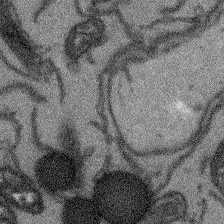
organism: Arabidopsis thaliana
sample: Root tip